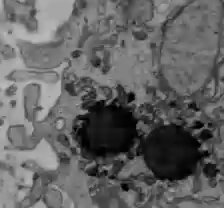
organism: C57BL Mouse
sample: Liver